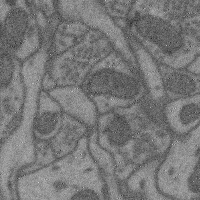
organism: Mouse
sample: Cerebral cortex